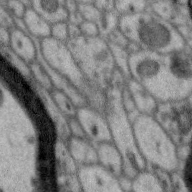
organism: Zebra finch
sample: Brain